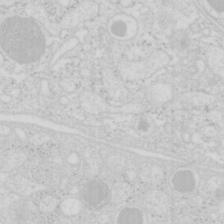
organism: Mouse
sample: Pancreas